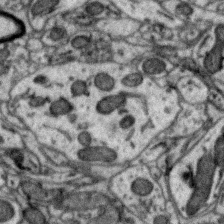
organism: Zebra finch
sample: Brain